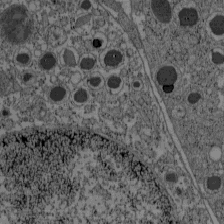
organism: C57BL Mouse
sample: Pancreatic islet